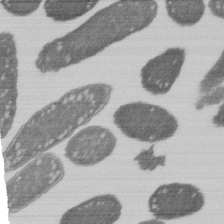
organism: E. coli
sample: Bacterial nucleoid